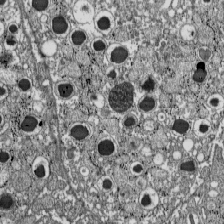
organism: C57BL Mouse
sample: Pancreatic islet